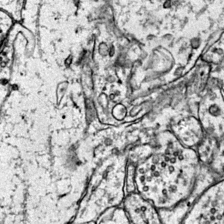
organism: Mouse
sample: Primary visual cortex